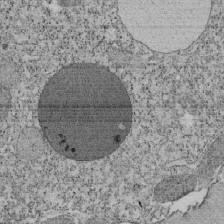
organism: Tetrahymena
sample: Cilia in tetrahymena